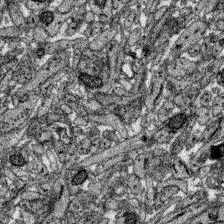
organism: Zebrafish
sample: Larval olfactory bulb